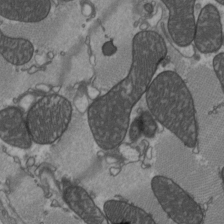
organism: C57BL Mouse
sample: Heart